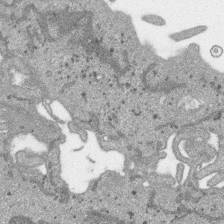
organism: Human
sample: Lung epithelial cells infected with SARS-CoV-2